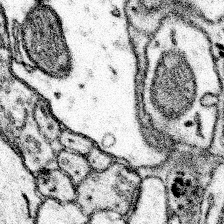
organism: Mouse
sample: Somatosensory cortex neuropil